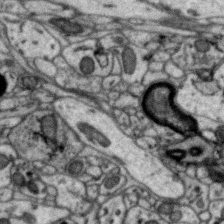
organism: Zebra finch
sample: Brain